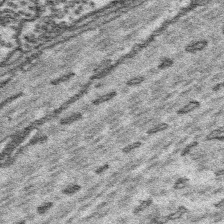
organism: Platynereis dumerilii